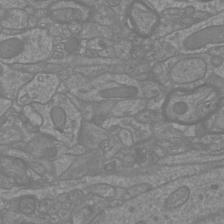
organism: Mouse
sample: Cortical neurons